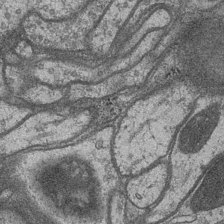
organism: Drosophila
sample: Optic medulla